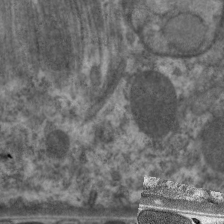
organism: C. elegans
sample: Pharynx